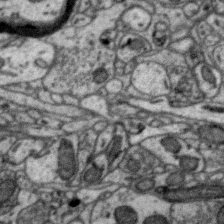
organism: Zebra finch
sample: Brain